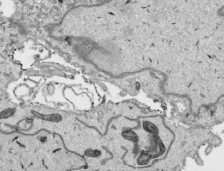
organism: Human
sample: Mitochondria in HCT116 cells